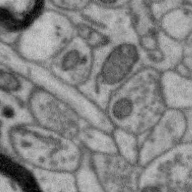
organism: Zebra finch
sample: Brain